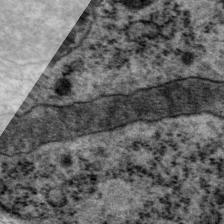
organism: P. pacificus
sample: Pharynx